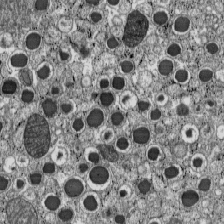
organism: C57BL Mouse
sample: Pancreatic islet